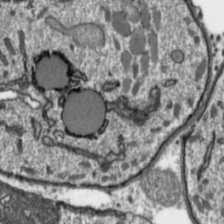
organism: Toxoplasma gondii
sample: Parasites in a vacuole inside a host cell